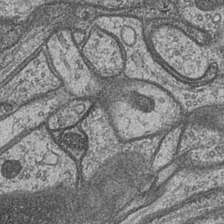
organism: Drosophila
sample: Optic medulla